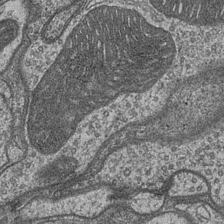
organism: Drosophila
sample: Optic medulla